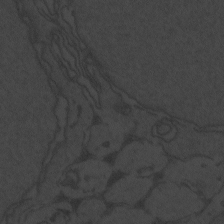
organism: Zebrafish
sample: Macrophage infected with Toxoplasma gondii